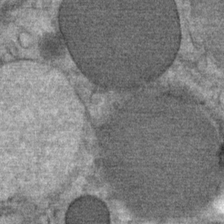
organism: Mouse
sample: Mouse Salivary gland